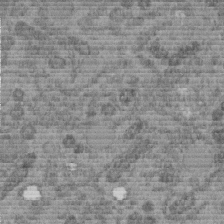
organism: C. elegans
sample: C. elegans embryo early stage